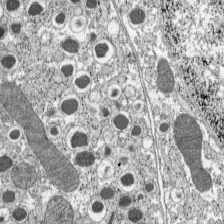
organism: C57BL Mouse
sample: Pancreatic islet